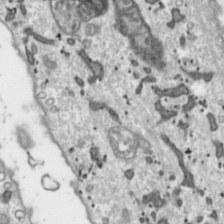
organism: Toxoplasma gondii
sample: Parasites in a vacuole inside a host cell